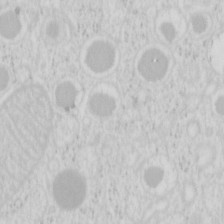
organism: Mouse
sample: Pancreas